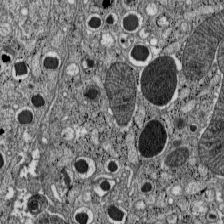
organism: C57BL Mouse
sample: Pancreatic islet